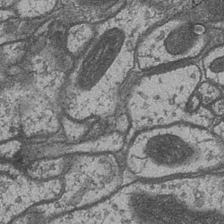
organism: Drosophila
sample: Optic medulla